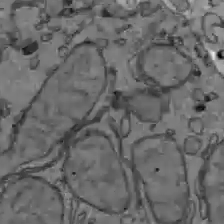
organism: C57BL Mouse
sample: Liver